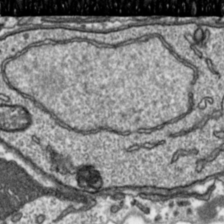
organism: Toxoplasma gondii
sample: Parasites in a vacuole inside a host cell